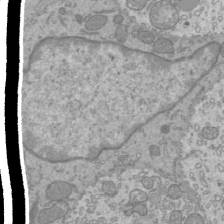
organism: Mouse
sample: Cilia; mouse epididymis